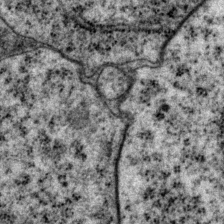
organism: P. pacificus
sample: Pharynx